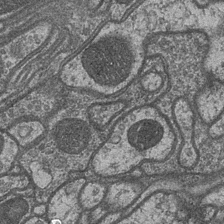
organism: Drosophila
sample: Optic medulla